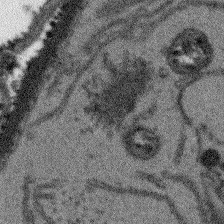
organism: Arabidopsis thaliana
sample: Root tip